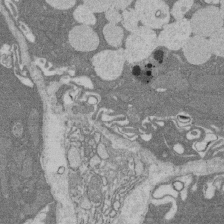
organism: Rat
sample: Salivary granule